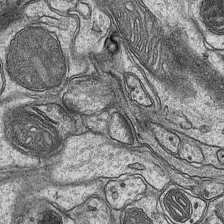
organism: Mouse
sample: CA1 Hippocampus